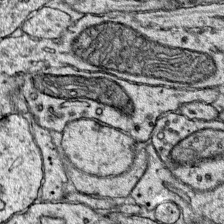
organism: Mouse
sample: Primary visual cortex